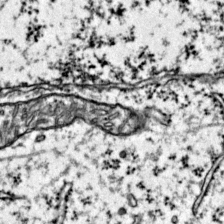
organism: Mouse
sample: Primary visual cortex